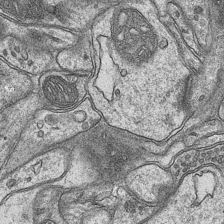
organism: Mouse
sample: CA1 Hippocampus